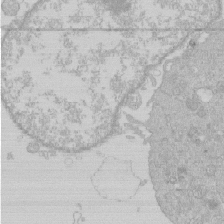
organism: Human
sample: Macrophage cells